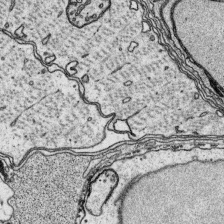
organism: Platynereis dumerilii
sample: Parapodia